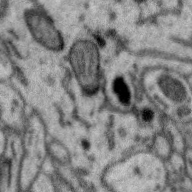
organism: Zebra finch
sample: Brain